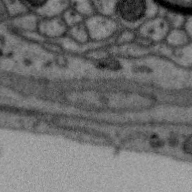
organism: Zebra finch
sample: Brain